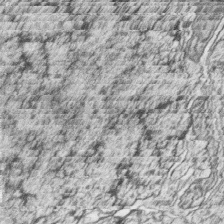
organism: Zebrafish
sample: synaptic ribbons in rod cells and cone cells